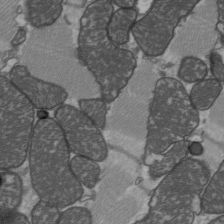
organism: C57BL Mouse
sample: Heart